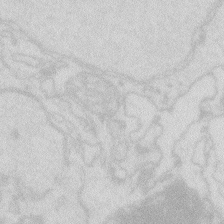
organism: Zebrafish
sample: Macrophage